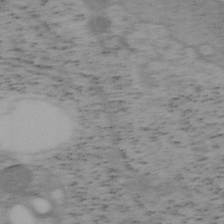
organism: Mouse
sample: OT-I killer T cells with ID8 ovarian cancer cells